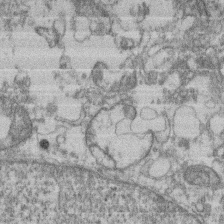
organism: Mouse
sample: T cell stromal cell synapse